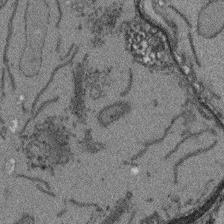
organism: Arabidopsis thaliana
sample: Root tip